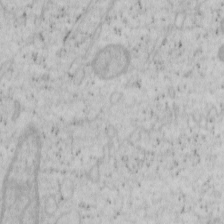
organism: Human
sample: HeLa cells